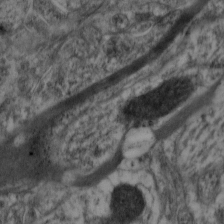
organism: Mouse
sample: Neocortex